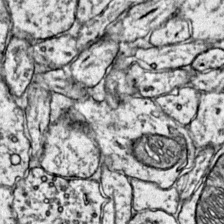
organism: Mouse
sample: Primary visual cortex